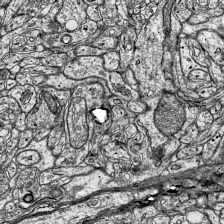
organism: Mouse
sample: Visual Cortex